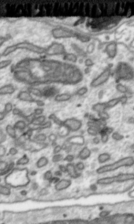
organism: Toxoplasma gondii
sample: Parasites in a vacuole inside a host cell